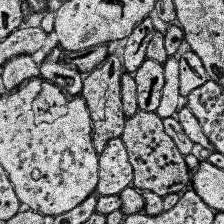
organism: Human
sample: Temporal Lobe